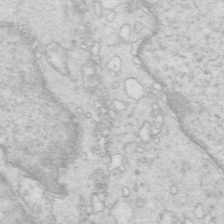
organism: Mouse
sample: Multiciliated cells